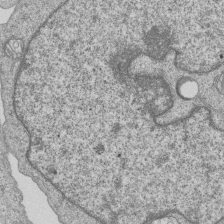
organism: Human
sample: MDA-MB-231 cells